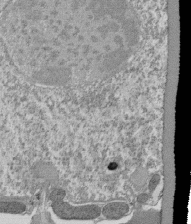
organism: Tetrahymena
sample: Cilia in tetrahymena